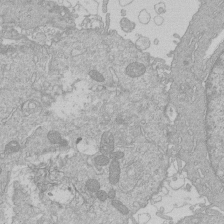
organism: Human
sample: Macrophage cells